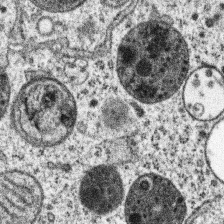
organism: Human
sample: HeLa cells